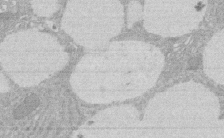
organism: Rat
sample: Salivary granule